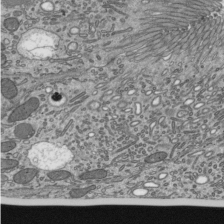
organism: Mouse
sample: Mouse epididymis efferent ductule cilia